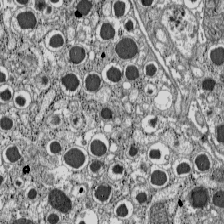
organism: C57BL Mouse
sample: Pancreatic islet